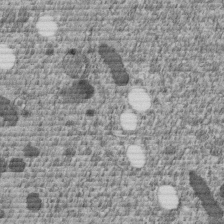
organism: C. elegans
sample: C. elegans embryo early stage